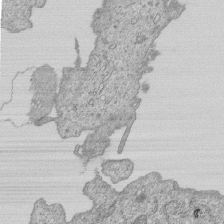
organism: Human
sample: MDA-MB-231 cells